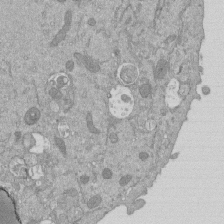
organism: Mouse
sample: ED-1 cell nuclei; centrioles